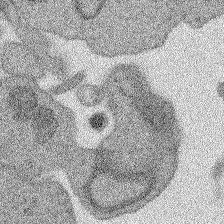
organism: Human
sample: HeLa cells